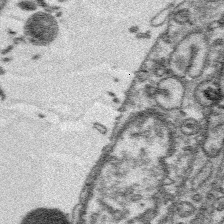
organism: Platynereis dumerilii